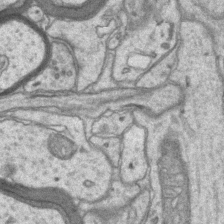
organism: Mouse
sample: CA1 Hippocampus